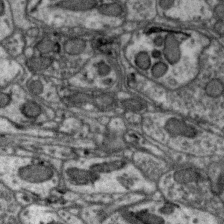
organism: Zebra finch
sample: Brain